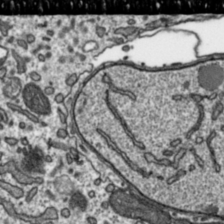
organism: Toxoplasma gondii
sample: Parasites in a vacuole inside a host cell